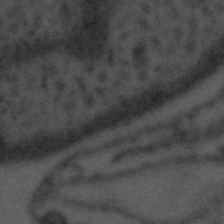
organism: Tuwongella immobilis